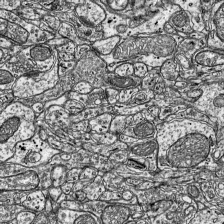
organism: Mouse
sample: Visual Cortex